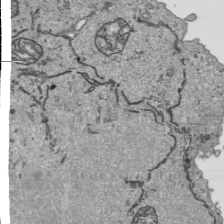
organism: Human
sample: Mitochondria in HCT116 cells